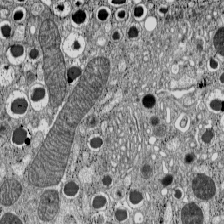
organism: C57BL Mouse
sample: Pancreatic islet